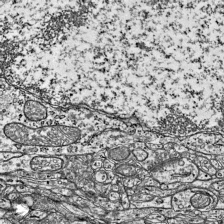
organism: Mouse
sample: Visual Cortex